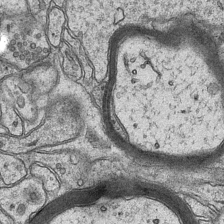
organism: Mouse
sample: CA1 Hippocampus